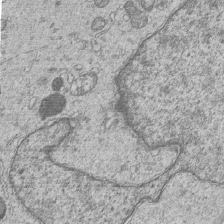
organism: Human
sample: MDA-MB-231 cells